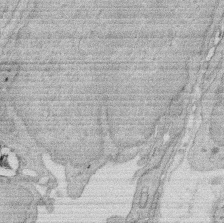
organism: Rat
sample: Salivary granule